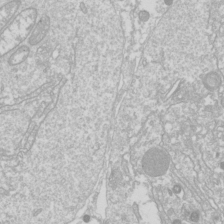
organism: Drosophila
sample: Cell division; meiosis; drosophila spermatocytes